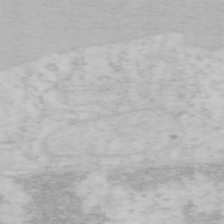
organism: Mouse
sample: OT-I killer T cells with ID8 ovarian cancer cells